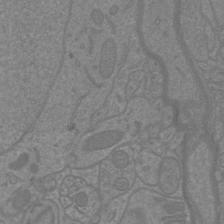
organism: Mouse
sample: Cortical neurons